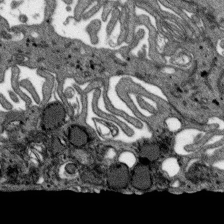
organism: Human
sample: Lung epithelial cells, uninfected (mock) control